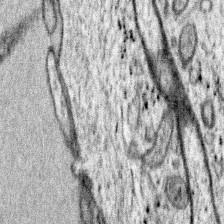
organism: Human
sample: HeLa cells